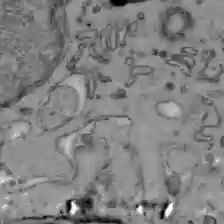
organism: C57BL Mouse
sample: Liver